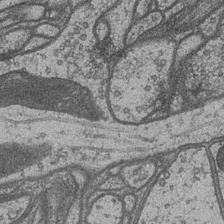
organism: Drosophila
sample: Optic medulla